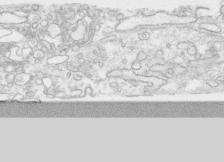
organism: Human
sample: CRL-1474